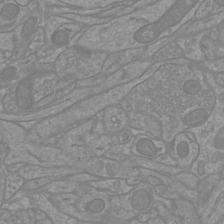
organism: Mouse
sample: Cortical neurons